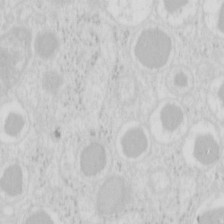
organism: Mouse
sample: Pancreas